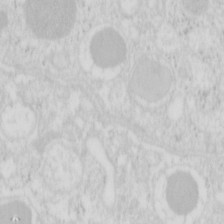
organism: Mouse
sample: Pancreas